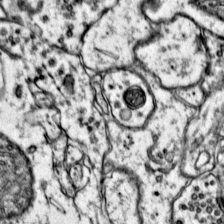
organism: Mouse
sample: Primary visual cortex